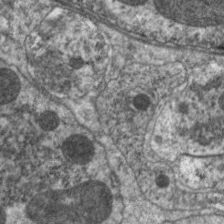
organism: C. elegans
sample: Pharynx